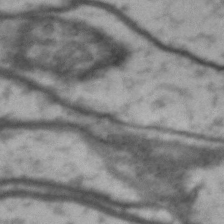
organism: Drosophila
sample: Brain